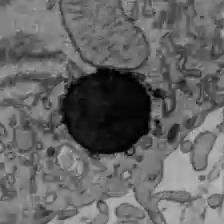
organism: C57BL Mouse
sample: Liver